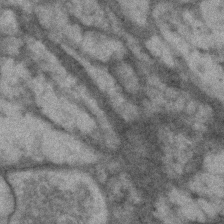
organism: Human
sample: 1205lu cells